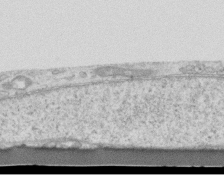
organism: Mouse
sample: Centriole in ependymal cells